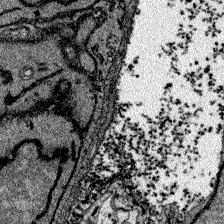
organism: Zebrafish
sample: Larval olfactory bulb